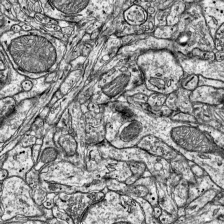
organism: Mouse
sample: Visual Cortex